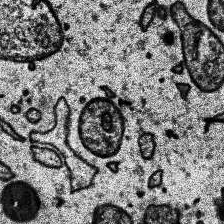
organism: Human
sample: Temporal Lobe